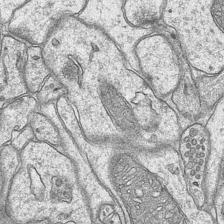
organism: Mouse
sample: CA1 Hippocampus